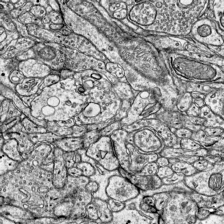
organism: Mouse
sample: Visual Cortex